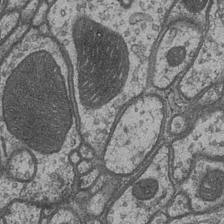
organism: Drosophila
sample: Optic medulla